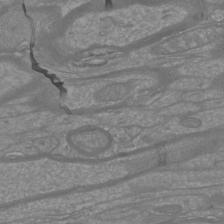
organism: Mouse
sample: Cortical neurons